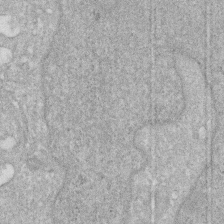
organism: Human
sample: HIV infected U937 cells